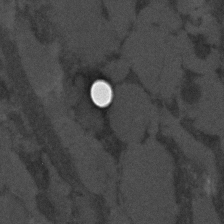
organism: C. elegans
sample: C. elegans embryo